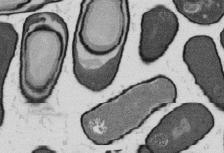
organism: B. subtilis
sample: Bacterial spore